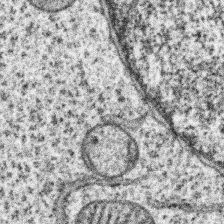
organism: Human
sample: HeLa cells